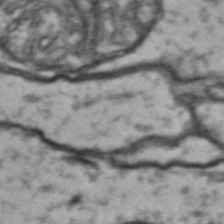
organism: Drosophila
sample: Brain